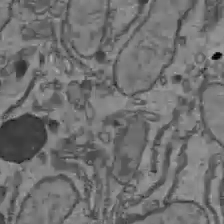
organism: C57BL Mouse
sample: Liver